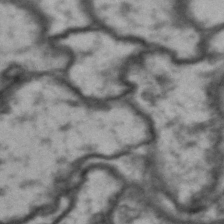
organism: Drosophila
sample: Brain